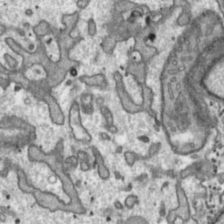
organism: Toxoplasma gondii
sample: Parasites in a vacuole inside a host cell